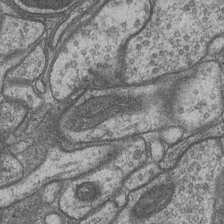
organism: Drosophila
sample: Optic medulla